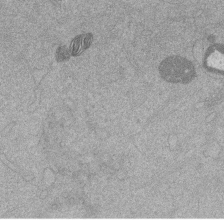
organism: Mouse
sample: Dividing mouse embryo 1 cell stage